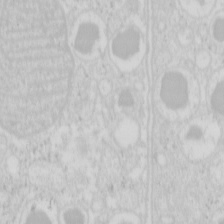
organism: Mouse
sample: Pancreas